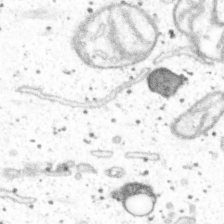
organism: Human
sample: HeLa cells